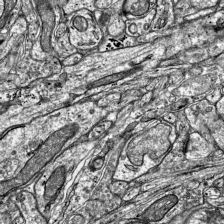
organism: Mouse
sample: Visual Cortex